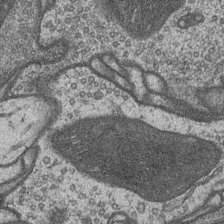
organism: Drosophila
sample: Optic medulla